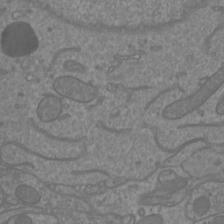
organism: Mouse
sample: Cortical neurons